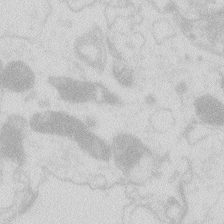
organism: Zebrafish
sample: Macrophage